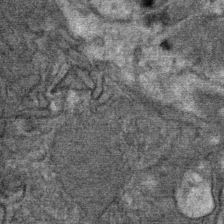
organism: Mouse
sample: Mouse Salivary gland